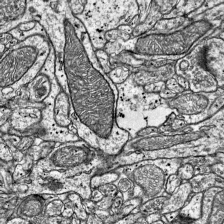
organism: Mouse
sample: Visual Cortex